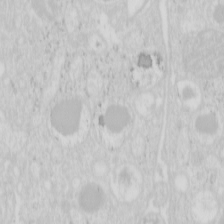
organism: Mouse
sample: Pancreas